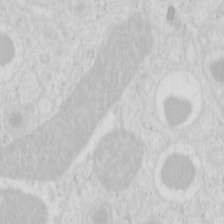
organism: Mouse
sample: Pancreas